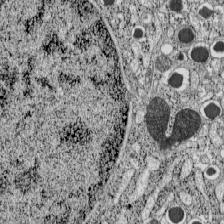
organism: C57BL Mouse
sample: Pancreatic islet